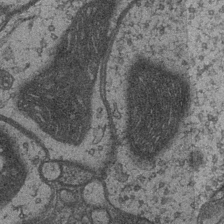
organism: Drosophila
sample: Optic medulla